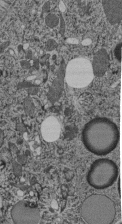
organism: C. elegans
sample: C. elegans pharynx